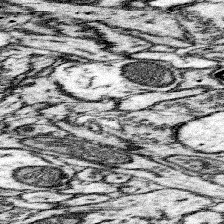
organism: Mouse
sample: Somatosensory cortex neuropil